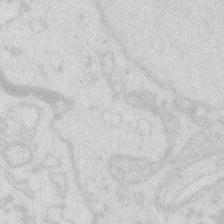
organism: Zebrafish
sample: Macrophage